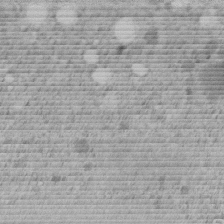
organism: C. elegans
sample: C. elegans embryo early stage